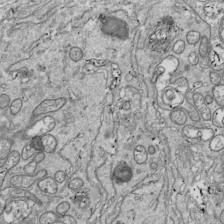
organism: Drosophila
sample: Cell division; meiosis; drosophila spermatocytes